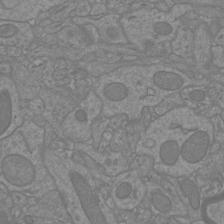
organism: Mouse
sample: Cortical neurons